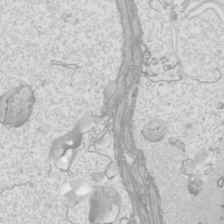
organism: Mouse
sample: Cilia; mouse epididymis